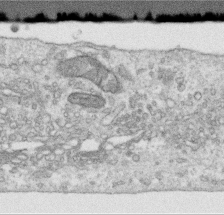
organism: Human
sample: Centriole in RPE cells